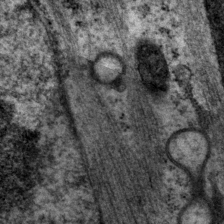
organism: P. pacificus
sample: Pharynx